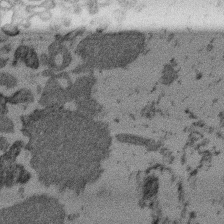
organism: Mouse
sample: Dividing mouse embryo 1 cell stage